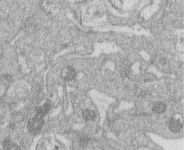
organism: Human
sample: Macrophage cells